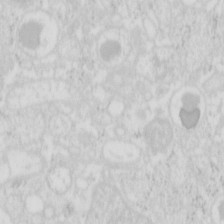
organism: Mouse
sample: Pancreas